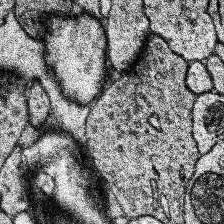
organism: Human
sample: Temporal Lobe